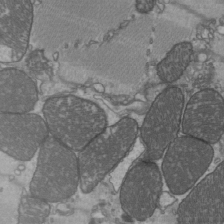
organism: C57BL Mouse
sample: Heart